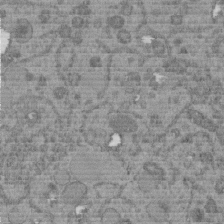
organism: C. elegans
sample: C. elegans embryo early stage